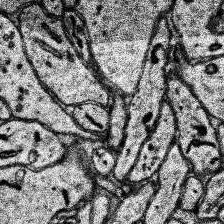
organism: Human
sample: Temporal Lobe